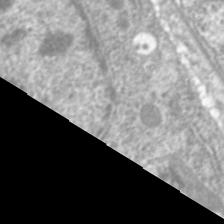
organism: C. elegans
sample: Pharynx